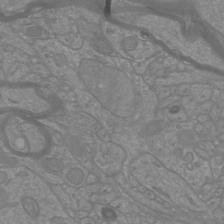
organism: Mouse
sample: Cortical neurons